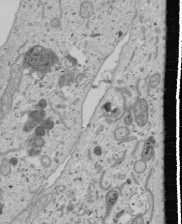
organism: Human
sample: Mitochondria in U2OS cells